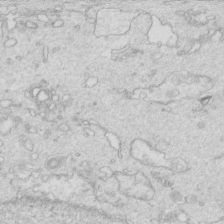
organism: Mouse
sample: Multiciliated cells